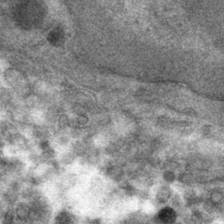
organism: Mouse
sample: Mouse hepatocytes